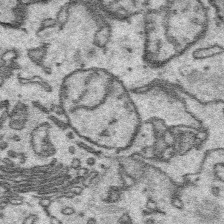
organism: Platynereis dumerilii